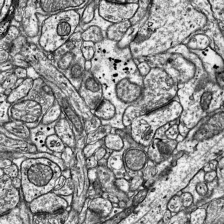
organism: Mouse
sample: Visual Cortex